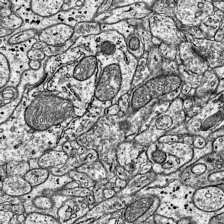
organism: Mouse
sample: Visual Cortex